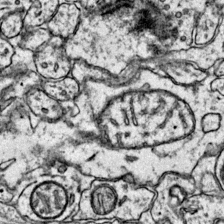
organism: Mouse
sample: Primary visual cortex